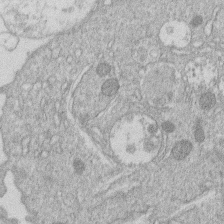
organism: Human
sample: Macrophage cells